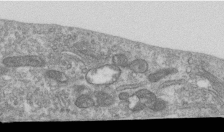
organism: Human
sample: Centriole in RPE cells